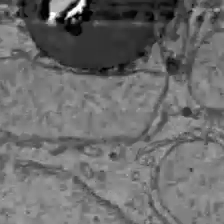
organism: C57BL Mouse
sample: Liver